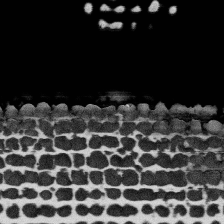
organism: Human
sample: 1205lu cells